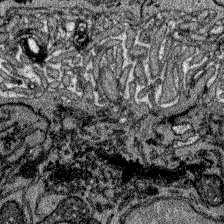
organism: Zebrafish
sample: Larval olfactory bulb